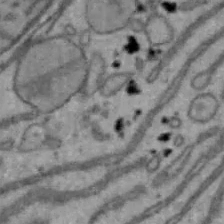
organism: Mouse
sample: Liver